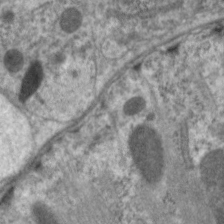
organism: C. elegans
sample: Pharynx